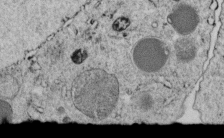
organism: C. elegans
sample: C. elegans embryo early stage